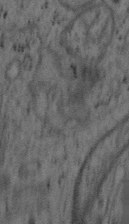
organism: Human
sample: HeLa cells